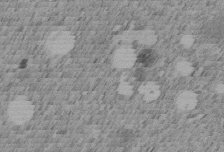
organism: C. elegans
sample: C. elegans embryo early stage